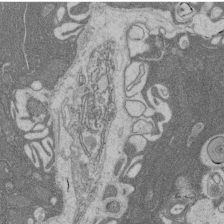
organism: Rat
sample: Salivary granule